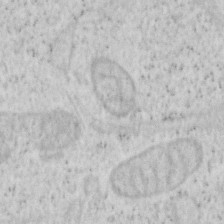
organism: Human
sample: HeLa cells